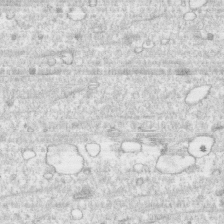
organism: Human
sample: CRL-1474